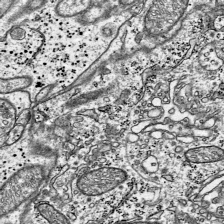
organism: Mouse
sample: Visual Cortex